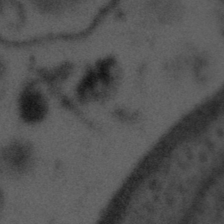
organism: Tuwongella immobilis